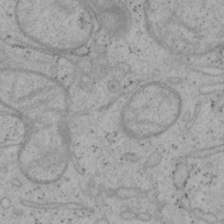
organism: Human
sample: HeLa cells